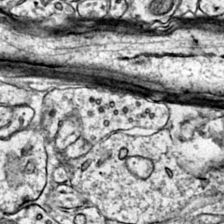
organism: Mouse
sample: Primary visual cortex